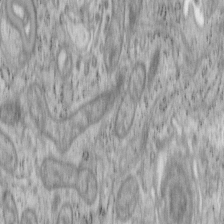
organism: Human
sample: HeLa cells